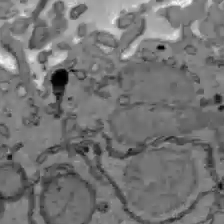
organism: C57BL Mouse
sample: Liver